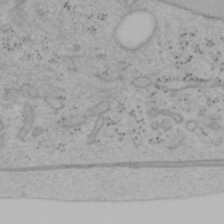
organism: Human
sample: HeLa cells